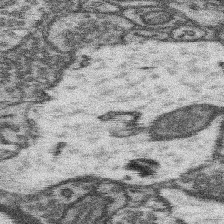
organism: Mouse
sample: Somatosensory cortex neuropil